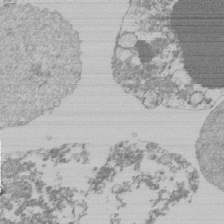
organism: Mouse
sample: Activated Pmel transgenic CD8+ T Cells